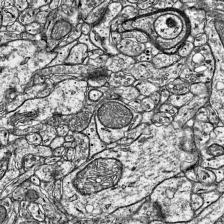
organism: Mouse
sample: Visual Cortex